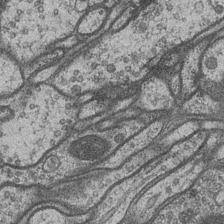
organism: Drosophila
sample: Optic medulla